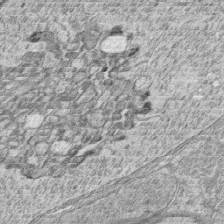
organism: Zebrafish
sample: synaptic ribbons in rod cells and cone cells